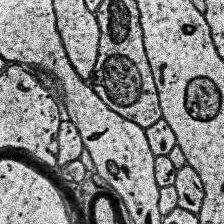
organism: Human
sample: Temporal Lobe